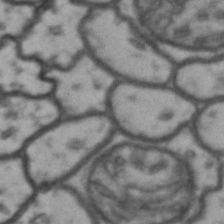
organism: Drosophila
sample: Brain